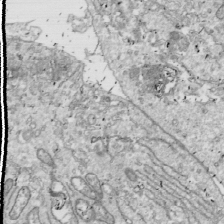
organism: Drosophila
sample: Cell division; meiosis; drosophila spermatocytes